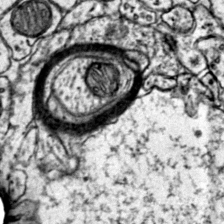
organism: Mouse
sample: Primary visual cortex